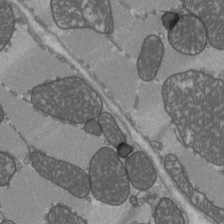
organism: C57BL Mouse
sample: Heart